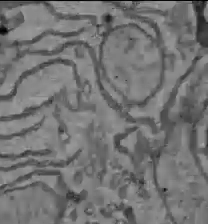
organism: C57BL Mouse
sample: Liver